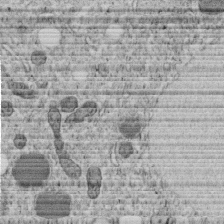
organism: C. elegans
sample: C. elegans embryo early stage